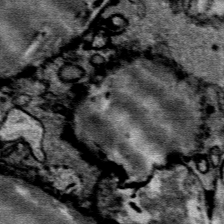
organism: Mouse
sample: Mouse Salivary gland